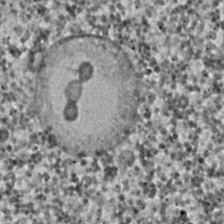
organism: C. elegans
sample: C. elegans embryo